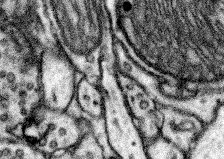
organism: Mouse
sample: Somatosensory cortex neuropil